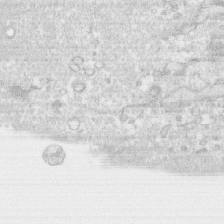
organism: Human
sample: CRL-1474